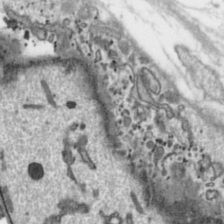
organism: Toxoplasma gondii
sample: Parasites in a vacuole inside a host cell